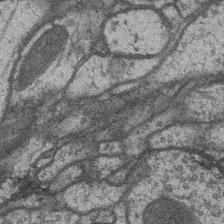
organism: Drosophila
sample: Optic medulla